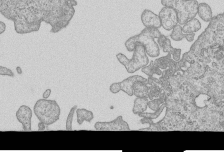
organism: Human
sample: MDA-MB-231 cells